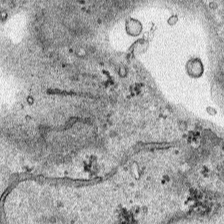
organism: Human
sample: Mitochondria in HCT116 cells